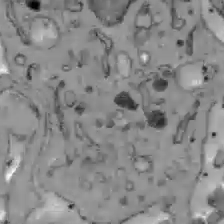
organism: C57BL Mouse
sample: Liver